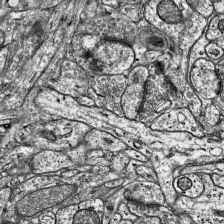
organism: Mouse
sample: Visual Cortex